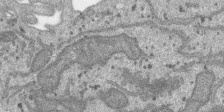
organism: Human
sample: Lung epithelial cells infected with SARS-CoV-2